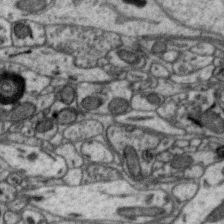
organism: Zebra finch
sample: Brain